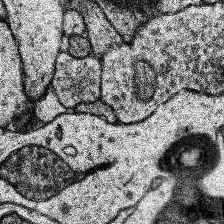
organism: Human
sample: Temporal Lobe